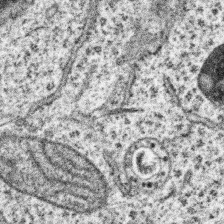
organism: Human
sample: HeLa cells